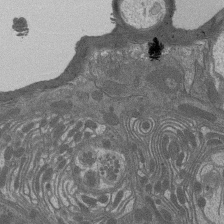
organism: Drosophila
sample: Antenna